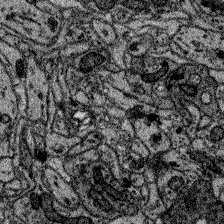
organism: Zebrafish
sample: Larval olfactory bulb